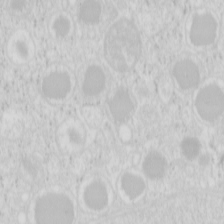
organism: Mouse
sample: Pancreas